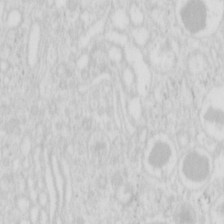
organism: Mouse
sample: Pancreas